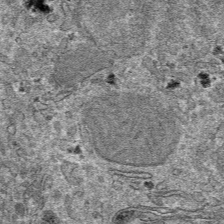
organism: Mouse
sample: Mouse hepatocytes